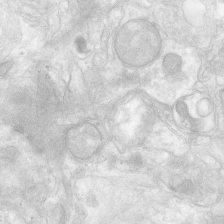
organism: Human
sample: Neocortex